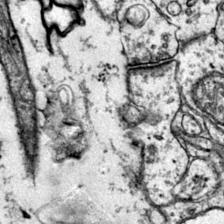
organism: Mouse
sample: Primary visual cortex